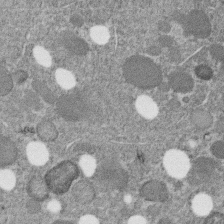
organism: C. elegans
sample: C. elegans embryo early stage